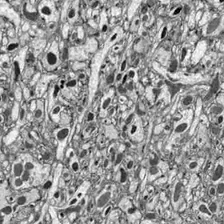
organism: Drosophila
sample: Optic lobe